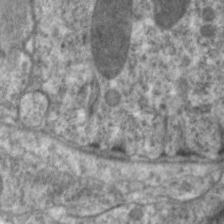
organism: C. elegans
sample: Pharynx